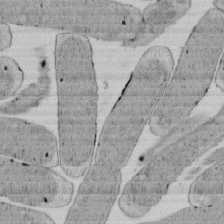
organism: E. coli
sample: Bacterial nucleoid